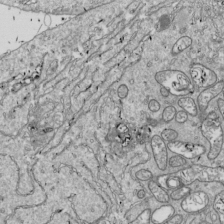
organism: Drosophila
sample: Cell division; meiosis; drosophila spermatocytes